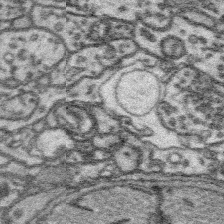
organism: Platynereis dumerilii